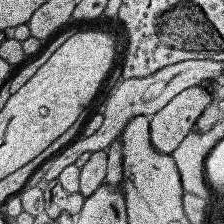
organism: Human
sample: Temporal Lobe